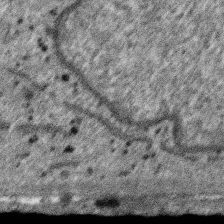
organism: Human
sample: Lung epithelial cells infected with SARS-CoV-2